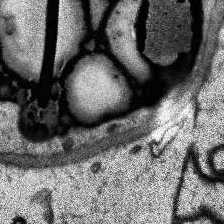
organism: Human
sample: Temporal Lobe